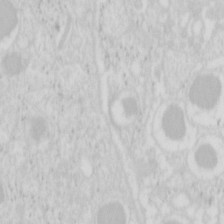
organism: Mouse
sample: Pancreas